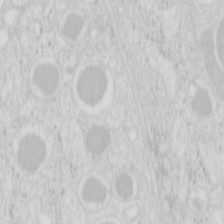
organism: Mouse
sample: Pancreas